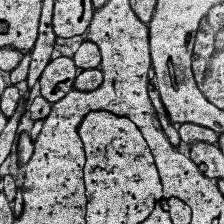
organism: Human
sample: Temporal Lobe